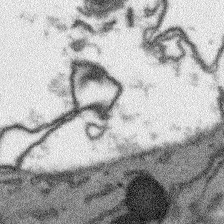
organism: Arabidopsis thaliana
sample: Root tip